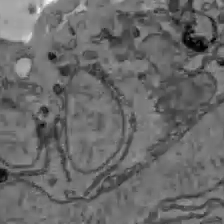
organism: C57BL Mouse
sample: Liver